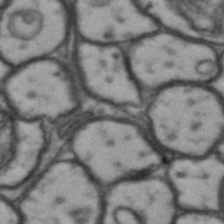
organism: Drosophila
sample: Brain